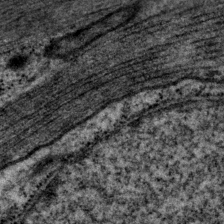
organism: P. pacificus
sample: Pharynx